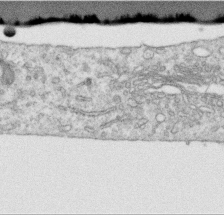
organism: Human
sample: Centriole in RPE cells